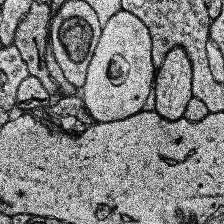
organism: Human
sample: Temporal Lobe